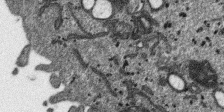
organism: Human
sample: Lung epithelial cells infected with SARS-CoV-2